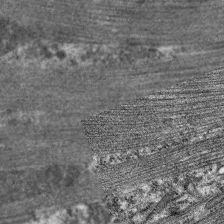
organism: C. elegans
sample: Pharynx